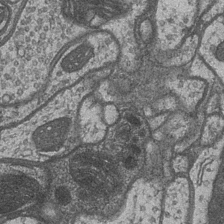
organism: Drosophila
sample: Optic medulla